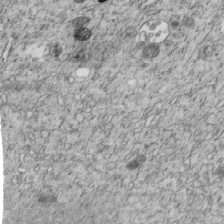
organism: C. elegans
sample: C. elegans embryo early stage